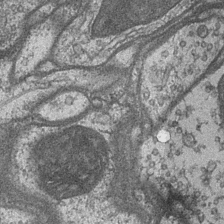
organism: Drosophila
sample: Optic medulla